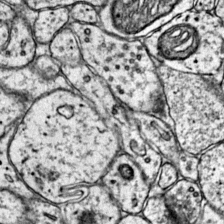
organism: Mouse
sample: Primary visual cortex